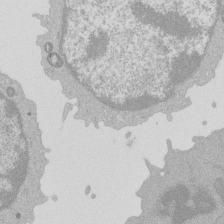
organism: Mouse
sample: Activated Pmel transgenic CD8+ T Cells